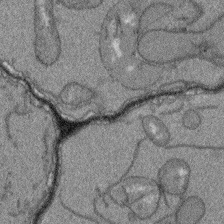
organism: Arabidopsis thaliana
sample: Root tip